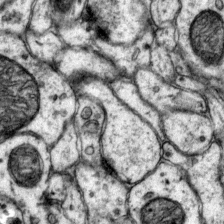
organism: Mouse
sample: Primary visual cortex